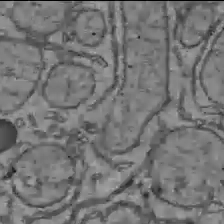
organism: C57BL Mouse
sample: Liver